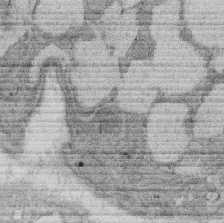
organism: Rat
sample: Salivary granule